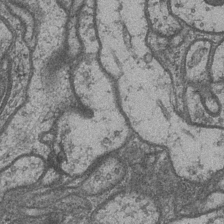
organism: Drosophila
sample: Optic medulla